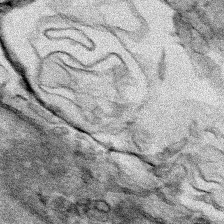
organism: Human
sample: Mitochondria in HCT116 cells